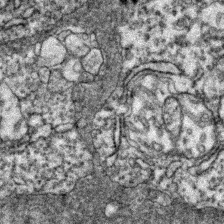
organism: Zebrafish